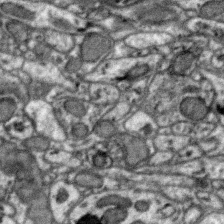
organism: Zebra finch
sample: Brain